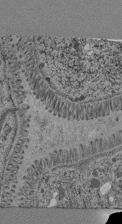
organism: C. elegans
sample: C. elegans pharynx